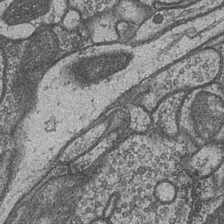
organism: Drosophila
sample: Optic medulla